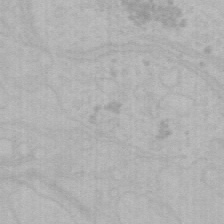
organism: Mouse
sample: Choroid plexus